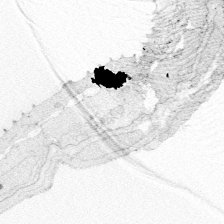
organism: Zebrafish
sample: Whole-Brain